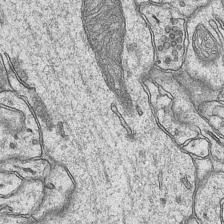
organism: Mouse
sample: CA1 Hippocampus